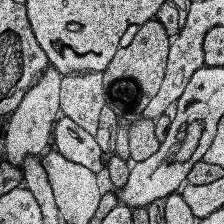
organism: Human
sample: Temporal Lobe